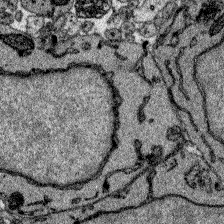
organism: Zebrafish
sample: Larval olfactory bulb